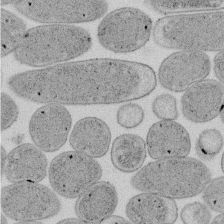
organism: E. coli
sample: Bacterial nucleoid